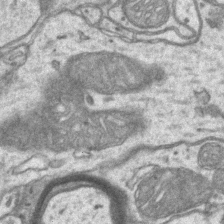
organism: Mouse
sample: CA1 Hippocampus